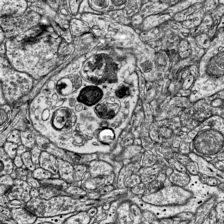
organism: Mouse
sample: Visual Cortex